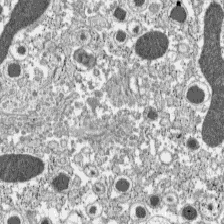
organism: C57BL Mouse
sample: Pancreatic islet